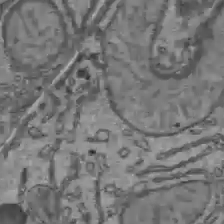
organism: C57BL Mouse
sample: Liver